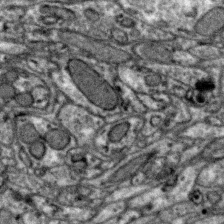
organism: Zebra finch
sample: Brain